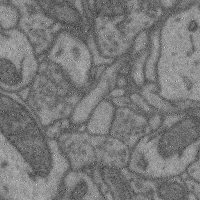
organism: Mouse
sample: Cerebral cortex